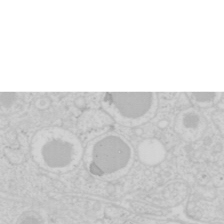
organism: Mouse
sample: Pancreas